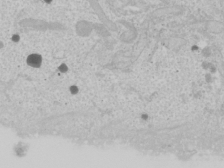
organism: Human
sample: Mitochondria in U2OS cells